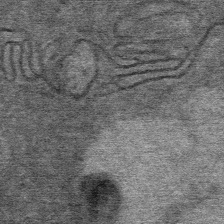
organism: Mouse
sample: Mouse Salivary gland